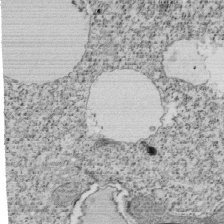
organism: Tetrahymena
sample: Cilia in tetrahymena